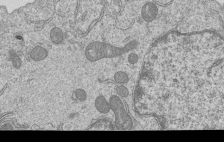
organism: Human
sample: MDA-MB-231 cells